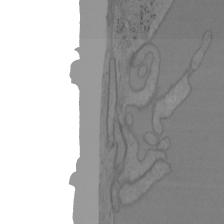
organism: Mouse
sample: OT-I killer T cells with ID8 ovarian cancer cells